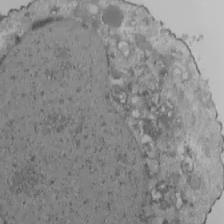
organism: Human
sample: Jurkat E6-1 and CD4 cells